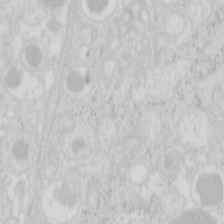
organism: Mouse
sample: Pancreas